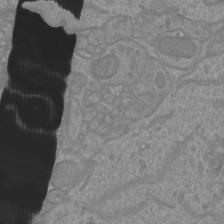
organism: Mouse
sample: Cortical neurons